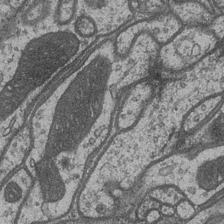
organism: Drosophila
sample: Optic medulla